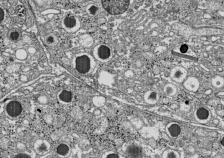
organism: C57BL Mouse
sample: Pancreatic islet